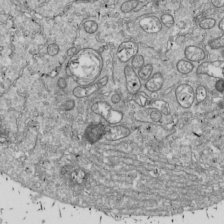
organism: Drosophila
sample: Cell division; meiosis; drosophila spermatocytes